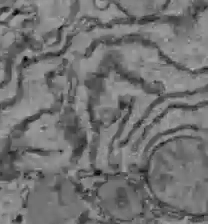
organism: C57BL Mouse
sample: Liver